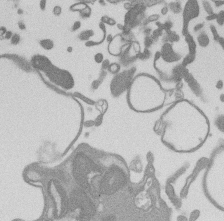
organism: Mouse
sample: Dividing mouse embryo 1 cell stage